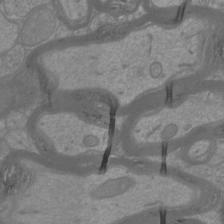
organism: Mouse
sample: Cortical neurons